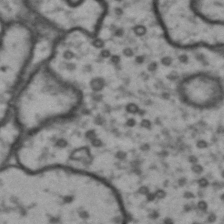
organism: Drosophila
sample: Brain